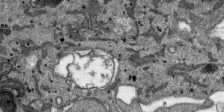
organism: Human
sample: Lung epithelial cells, uninfected (mock) control